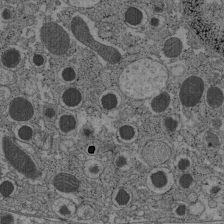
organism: C57BL Mouse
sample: Pancreatic islet